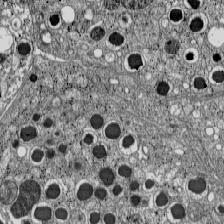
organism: C57BL Mouse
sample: Pancreatic islet